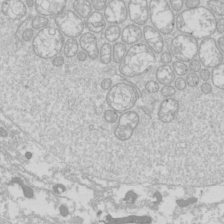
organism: Drosophila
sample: Cell division; meiosis; drosophila spermatocytes